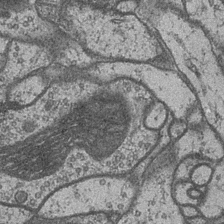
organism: Drosophila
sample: Optic medulla